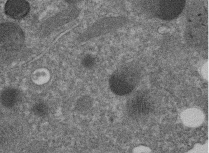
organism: C. elegans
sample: C. elegans embryo early stage